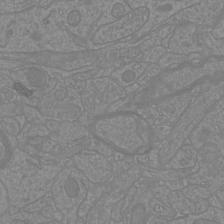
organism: Mouse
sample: Cortical neurons